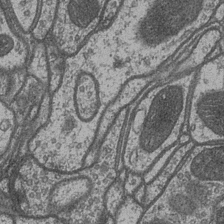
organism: Drosophila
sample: Optic medulla